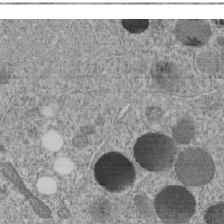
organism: C. elegans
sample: C. elegans embryo early stage